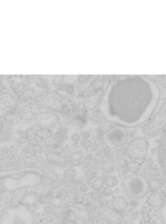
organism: Mouse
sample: Pancreas